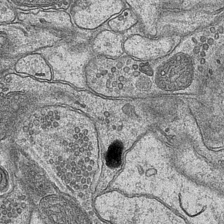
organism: Mouse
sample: CA1 Hippocampus